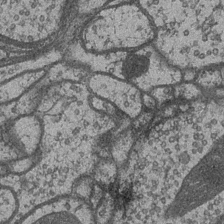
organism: Drosophila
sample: Optic medulla